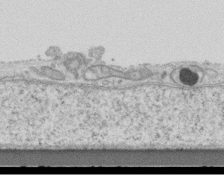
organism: Mouse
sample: Centriole in ependymal cells